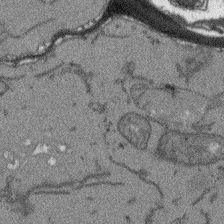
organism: Arabidopsis thaliana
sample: Root tip